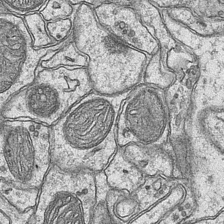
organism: Mouse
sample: CA1 Hippocampus